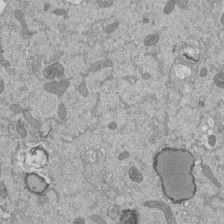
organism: Mouse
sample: ED-1 cell nuclei; centrioles